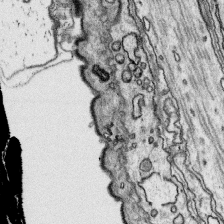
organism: Platynereis dumerilii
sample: Parapodia